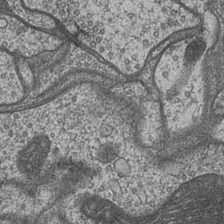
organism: Drosophila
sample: Optic medulla